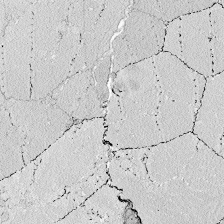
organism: Zebrafish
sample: Whole-Brain